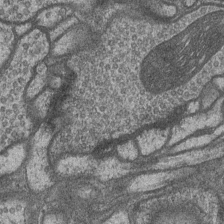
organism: Drosophila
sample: Optic medulla